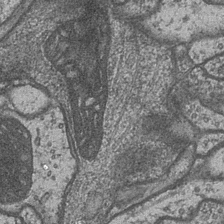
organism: Drosophila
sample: Optic medulla